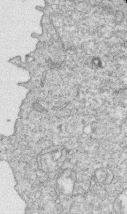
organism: Human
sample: HeLa cell HIV synapse